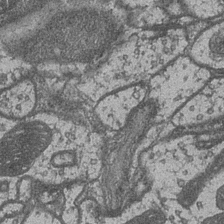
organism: Drosophila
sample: Optic medulla